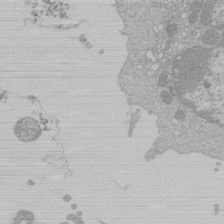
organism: Mouse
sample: Activated Pmel transgenic CD8+ T Cells